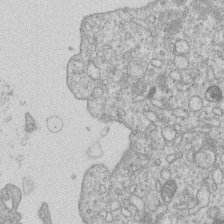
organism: Human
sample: Macrophage cells